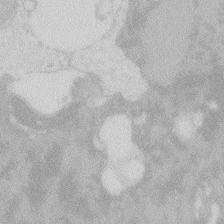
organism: Zebrafish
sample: Macrophage